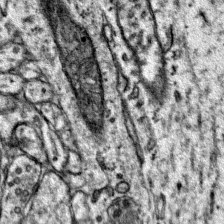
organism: Mouse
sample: Primary visual cortex